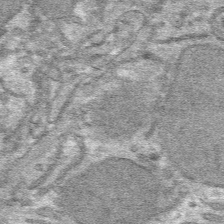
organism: Mouse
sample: Mouse hepatocytes